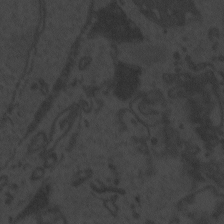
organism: Zebrafish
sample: Macrophage infected with Toxoplasma gondii